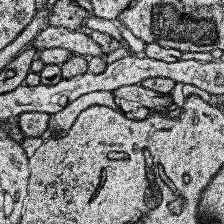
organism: Human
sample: Temporal Lobe